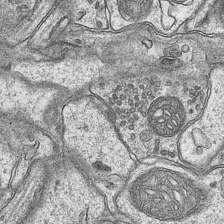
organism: Mouse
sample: CA1 Hippocampus